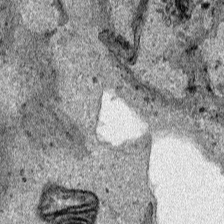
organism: Human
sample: Mitochondria in HCT116 cells